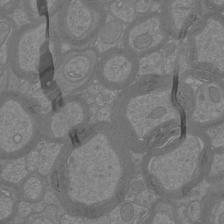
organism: Mouse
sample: Cortical neurons